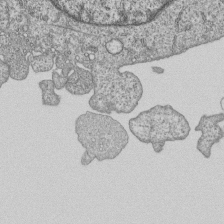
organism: Human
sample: MDA-MB-231 cells